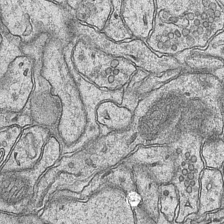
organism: Mouse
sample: CA1 Hippocampus